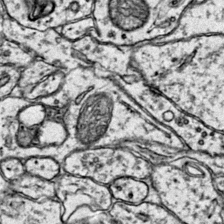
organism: Mouse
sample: Primary visual cortex